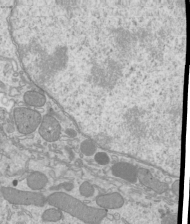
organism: Mouse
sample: Cilia; mouse epididymis